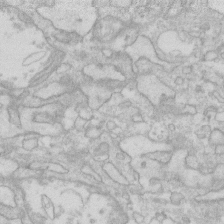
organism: Human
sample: Fibroblast cells